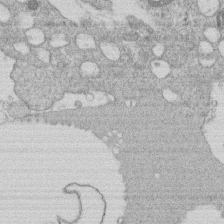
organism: Human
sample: Macrophage cells